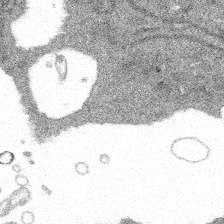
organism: Spongilla lacustris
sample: Multiple